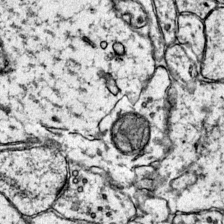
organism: Mouse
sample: Primary visual cortex